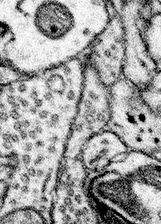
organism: Mouse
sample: Somatosensory cortex neuropil